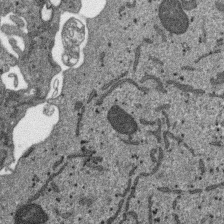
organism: Human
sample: Lung epithelial cells infected with SARS-CoV-2